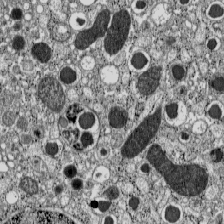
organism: C57BL Mouse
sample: Pancreatic islet